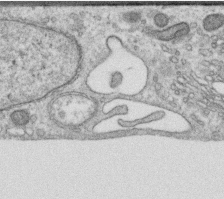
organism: Human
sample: Centriole in RPE cells